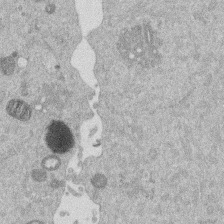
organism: Mouse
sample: Dividing mouse embryo 1 cell stage